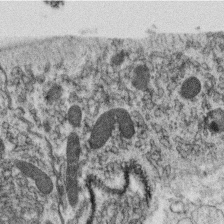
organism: C. elegans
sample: C. elegans oocyte; sperm cells